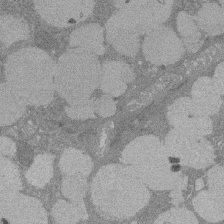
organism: Rat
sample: Salivary granule